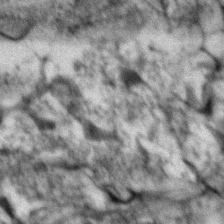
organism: Zebrafish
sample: Zebrafish embryo